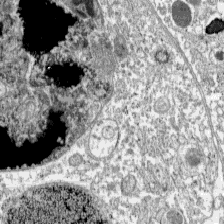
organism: C57BL Mouse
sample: Pancreatic islet